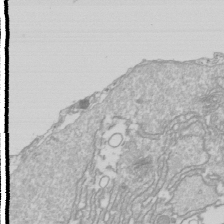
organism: Drosophila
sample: Cell division; meiosis; drosophila spermatocytes